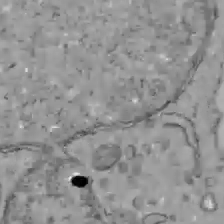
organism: C57BL Mouse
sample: Liver